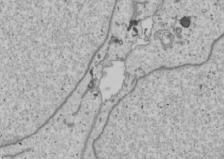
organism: Human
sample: Mitochondria in U2OS cells